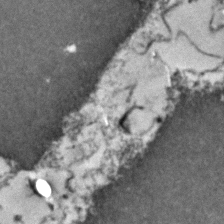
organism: Zebrafish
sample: Zebrafish embryo